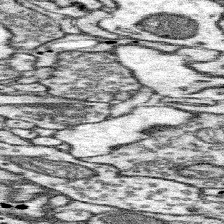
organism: Mouse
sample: Somatosensory cortex neuropil